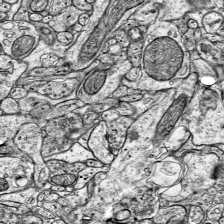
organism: Mouse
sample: Visual Cortex